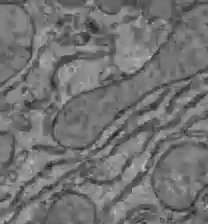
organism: C57BL Mouse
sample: Liver